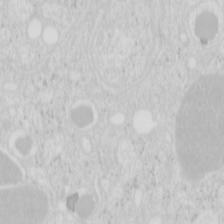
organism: Mouse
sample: Pancreas